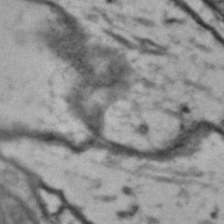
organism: Drosophila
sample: Brain